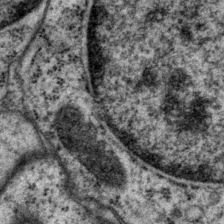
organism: P. pacificus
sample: Pharynx